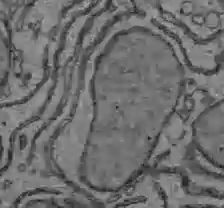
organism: C57BL Mouse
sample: Liver